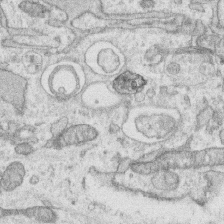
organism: Human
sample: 1205lu cells